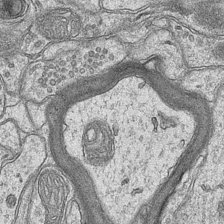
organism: Mouse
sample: CA1 Hippocampus